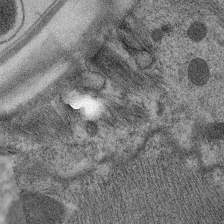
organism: C. elegans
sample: Pharynx